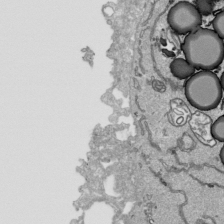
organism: Human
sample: Mitochondria in HCT116 cells